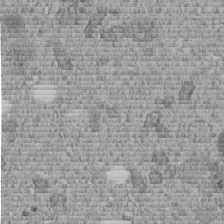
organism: C. elegans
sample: C. elegans embryo early stage